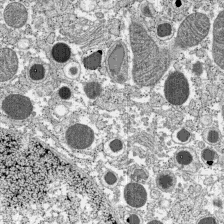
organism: C57BL Mouse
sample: Pancreatic islet